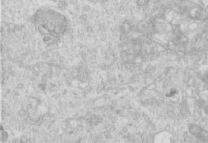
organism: Human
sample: Centriole in RPE cells